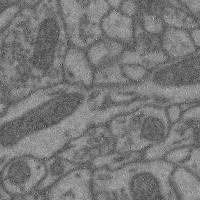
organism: Mouse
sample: Cerebral cortex